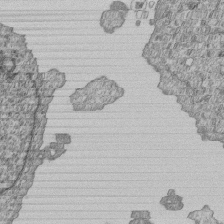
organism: Human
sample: MDA-MB-231 cells